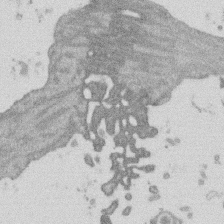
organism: Mouse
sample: Dividing mouse embryo 1 cell stage